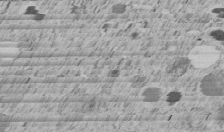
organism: C. elegans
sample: C. elegans embryo early stage